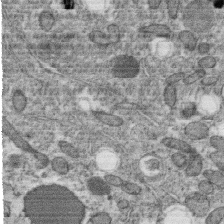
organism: C. elegans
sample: C. elegans oocyte; sperm cells